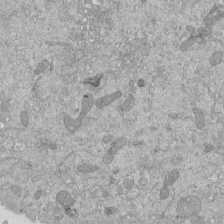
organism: Mouse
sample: ED-1 cell nuclei; centrioles